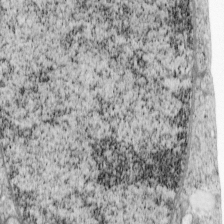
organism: African green monkey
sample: COS-7 cells